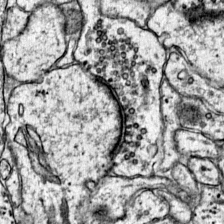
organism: Mouse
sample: Primary visual cortex